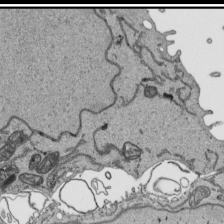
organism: Human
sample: Mitochondria in HCT116 cells